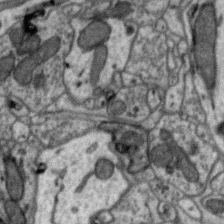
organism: Zebra finch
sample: Brain